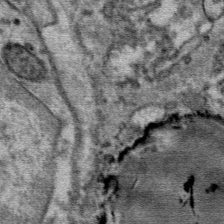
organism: Mouse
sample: Mouse Salivary gland